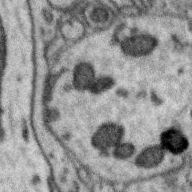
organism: Zebra finch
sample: Brain